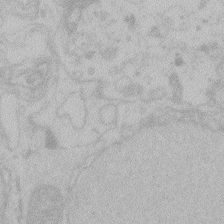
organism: Zebrafish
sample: Macrophage infected with Toxoplasma gondii